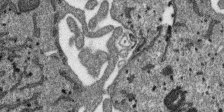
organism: Human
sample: Lung epithelial cells infected with SARS-CoV-2